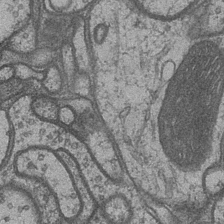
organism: Drosophila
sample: Optic medulla